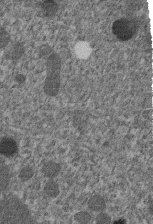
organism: C. elegans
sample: C. elegans embryo early stage